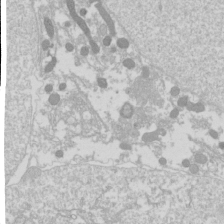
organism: Drosophila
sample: Cell division; meiosis; drosophila spermatocytes